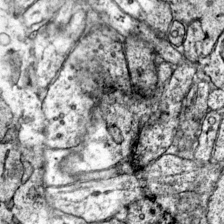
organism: Mouse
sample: Primary visual cortex